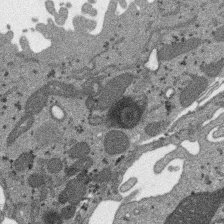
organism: Human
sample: Lung epithelial cells infected with SARS-CoV-2